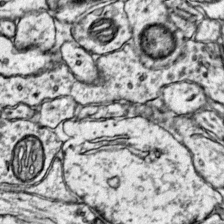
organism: Mouse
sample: Primary visual cortex